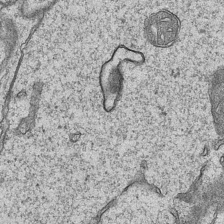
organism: Mouse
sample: CA1 Hippocampus